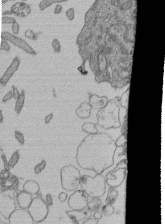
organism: Human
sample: Retinal organoid Rod and Cone cells